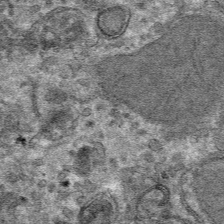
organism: Mouse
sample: Mouse hepatocytes